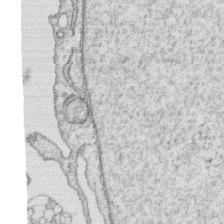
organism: Human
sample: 1205lu cells